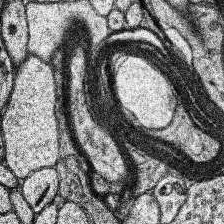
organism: Human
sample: Temporal Lobe